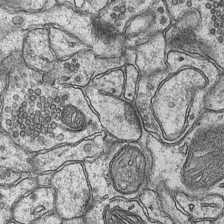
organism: Mouse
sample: CA1 Hippocampus